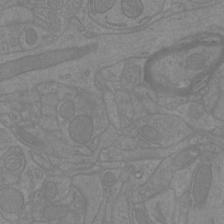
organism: Mouse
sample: Cortical neurons